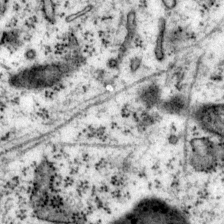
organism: Mouse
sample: Primary visual cortex